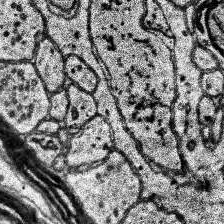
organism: Human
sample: Temporal Lobe